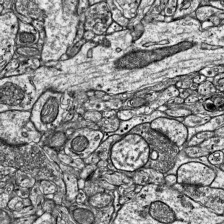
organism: Mouse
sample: Visual Cortex